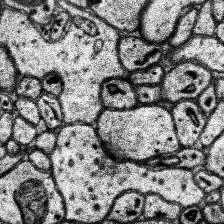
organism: Human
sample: Temporal Lobe